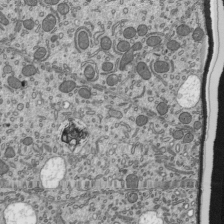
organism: Mouse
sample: Mouse epididymis efferent ductule cilia